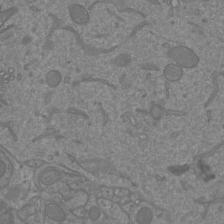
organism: Mouse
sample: Cortical neurons